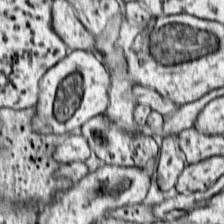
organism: Mouse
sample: Primary visual cortex